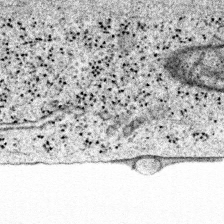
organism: Human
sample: HeLa cells